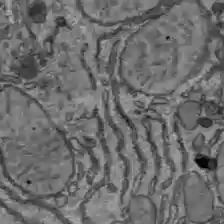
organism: C57BL Mouse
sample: Liver